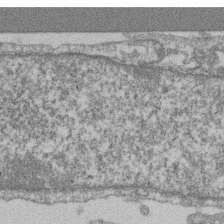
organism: Mouse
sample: T cell stromal cell synapse